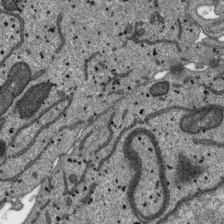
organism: Human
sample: Lung epithelial cells, uninfected (mock) control